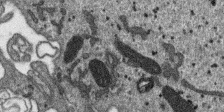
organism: Human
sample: Lung epithelial cells infected with SARS-CoV-2